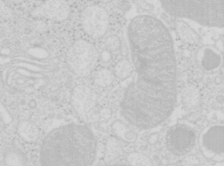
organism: Mouse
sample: Pancreas